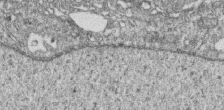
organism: Human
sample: HeLa cell HIV synapse